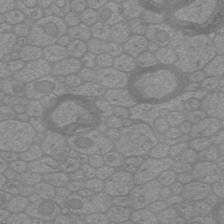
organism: Mouse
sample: Cortical neurons